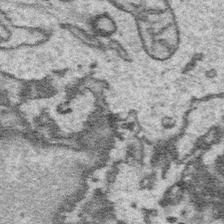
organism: Platynereis dumerilii